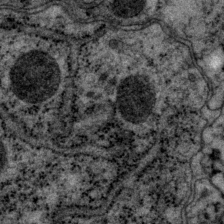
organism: P. pacificus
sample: Pharynx